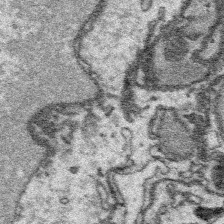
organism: Platynereis dumerilii